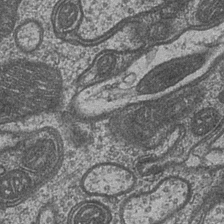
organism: Drosophila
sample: Optic medulla